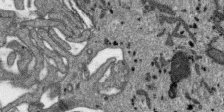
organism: Human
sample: Lung epithelial cells, uninfected (mock) control